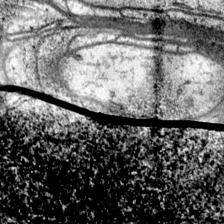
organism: Mouse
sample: Primary visual cortex